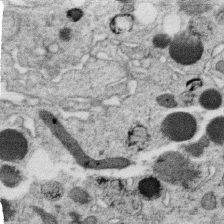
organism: C. elegans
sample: C. elegans oocyte; sperm cells